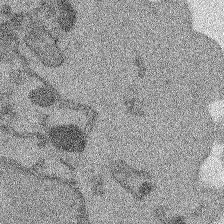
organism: Human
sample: HeLa cells